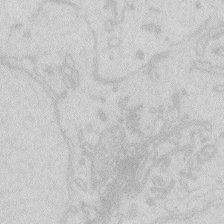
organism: Zebrafish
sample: Macrophage